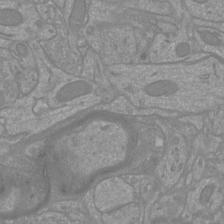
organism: Mouse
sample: Cortical neurons